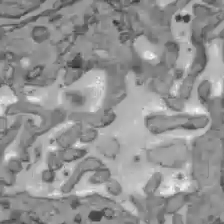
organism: C57BL Mouse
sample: Liver